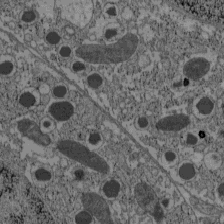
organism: C57BL Mouse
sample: Pancreatic islet